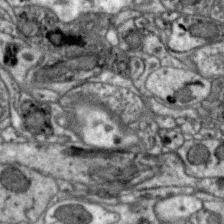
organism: Zebra finch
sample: Brain